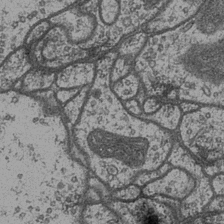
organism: Drosophila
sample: Optic medulla